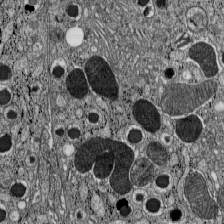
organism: C57BL Mouse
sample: Pancreatic islet